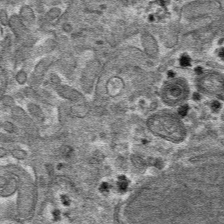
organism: Mouse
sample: Mouse hepatocytes